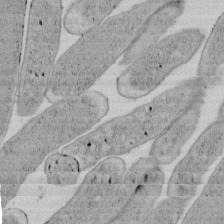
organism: E. coli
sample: Bacterial nucleoid